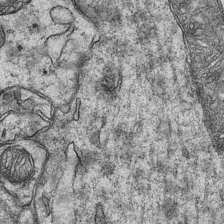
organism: Mouse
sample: CA1 Hippocampus